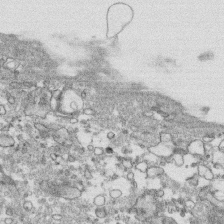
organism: Human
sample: CRL-1474